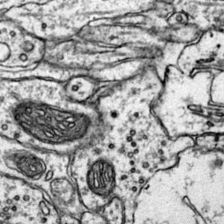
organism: Mouse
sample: Primary visual cortex